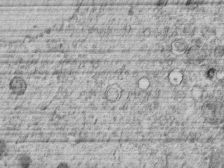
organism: C. elegans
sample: C. elegans embryo early stage